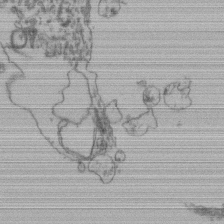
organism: Human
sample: Retinal organoid Rod and Cone cells